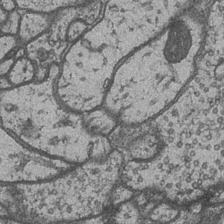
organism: Drosophila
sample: Optic medulla